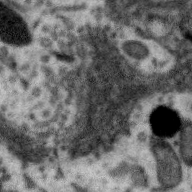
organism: Zebra finch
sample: Brain